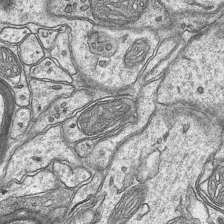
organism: Mouse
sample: CA1 Hippocampus